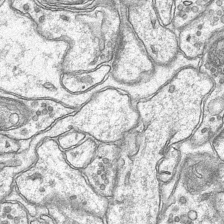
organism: Mouse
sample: CA1 Hippocampus